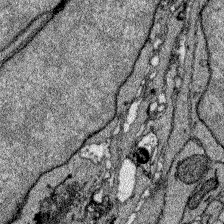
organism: Zebrafish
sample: Larval olfactory bulb